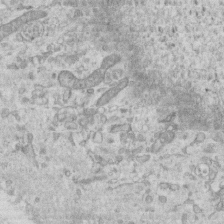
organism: Mouse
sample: Centriole in ependymal cells